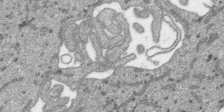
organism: Human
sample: Lung epithelial cells infected with SARS-CoV-2